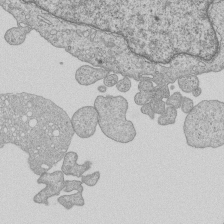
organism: Human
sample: MDA-MB-231 cells